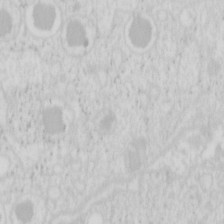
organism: Mouse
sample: Pancreas